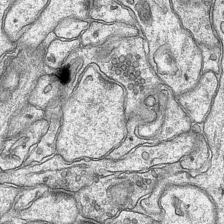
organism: Mouse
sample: CA1 Hippocampus